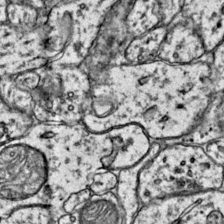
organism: Mouse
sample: Primary visual cortex